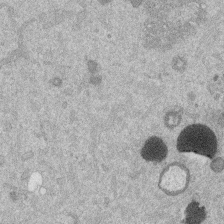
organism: Mouse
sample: Dividing mouse embryo 1 cell stage